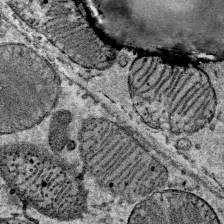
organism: Mouse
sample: Mouse Salivary gland